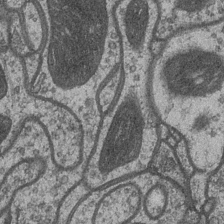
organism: Drosophila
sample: Optic medulla